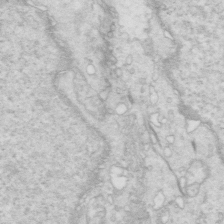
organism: Mouse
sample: Multiciliated cells